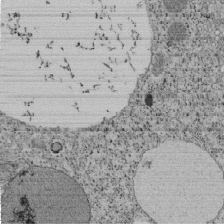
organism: Tetrahymena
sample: Cilia in tetrahymena